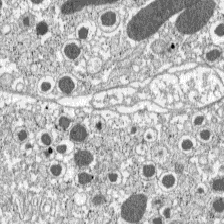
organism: C57BL Mouse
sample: Pancreatic islet